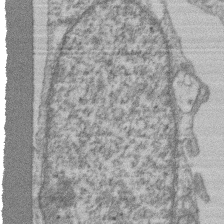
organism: Mouse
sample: T cell stromal cell synapse